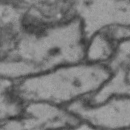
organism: Drosophila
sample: Brain